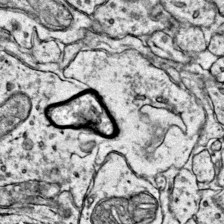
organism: Mouse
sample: Primary visual cortex